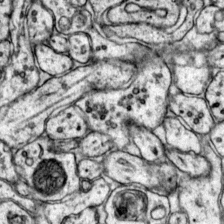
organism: Mouse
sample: Primary visual cortex